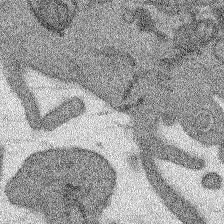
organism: Human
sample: HeLa cells